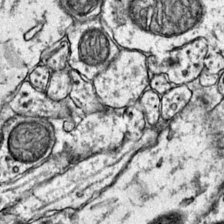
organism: Mouse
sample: Primary visual cortex